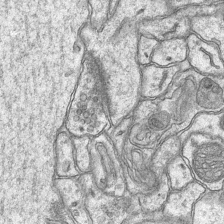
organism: Mouse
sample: CA1 Hippocampus